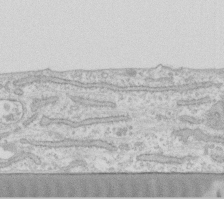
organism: Human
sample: Fibroblast cells